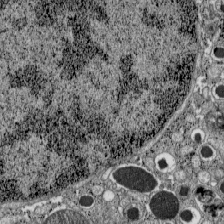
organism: C57BL Mouse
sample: Pancreatic islet